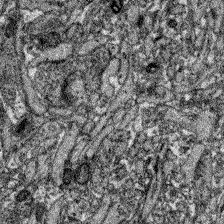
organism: Zebrafish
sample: Larval olfactory bulb